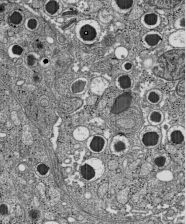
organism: C57BL Mouse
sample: Pancreatic islet